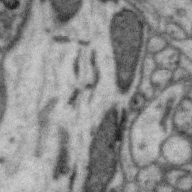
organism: Zebra finch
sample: Brain